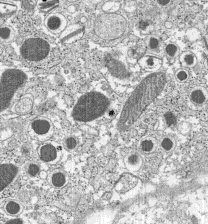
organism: C57BL Mouse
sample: Pancreatic islet